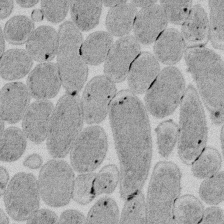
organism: E. coli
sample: Bacterial nucleoid